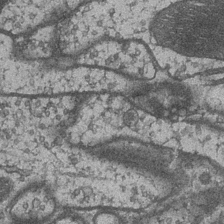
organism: Drosophila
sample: Optic medulla